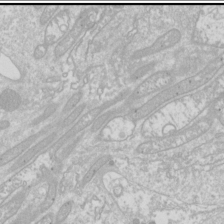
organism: Drosophila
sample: Cell division; meiosis; drosophila spermatocytes